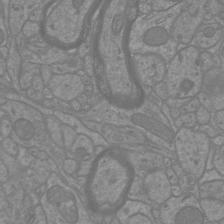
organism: Mouse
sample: Cortical neurons